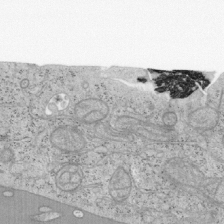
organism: Human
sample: HeLa cells